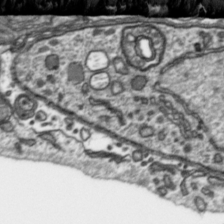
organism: Toxoplasma gondii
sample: Parasites in a vacuole inside a host cell